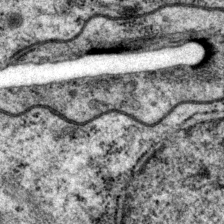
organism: P. pacificus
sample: Pharynx